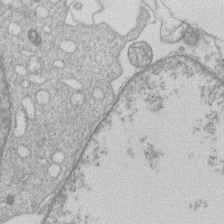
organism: Human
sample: Macrophage cells